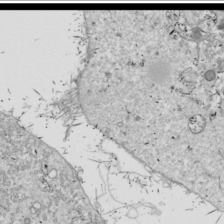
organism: Drosophila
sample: Cell division; meiosis; drosophila spermatocytes